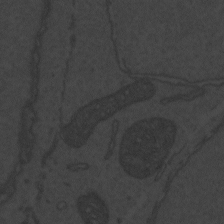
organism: Zebrafish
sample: Macrophage infected with Toxoplasma gondii